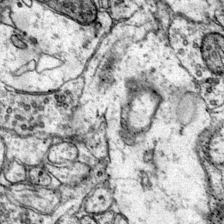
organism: Mouse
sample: Primary visual cortex